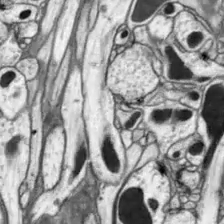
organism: Drosophila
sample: Optic lobe